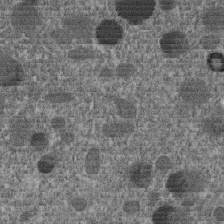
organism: C. elegans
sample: C. elegans embryo early stage